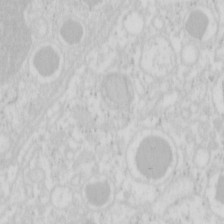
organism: Mouse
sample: Pancreas